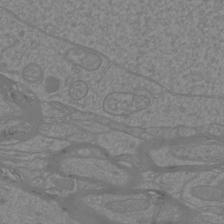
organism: Mouse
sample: Cortical neurons